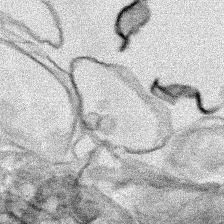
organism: Human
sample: Mitochondria in HCT116 cells